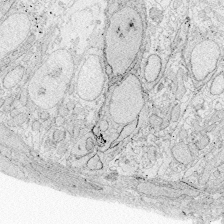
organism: Zebrafish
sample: Whole-Brain